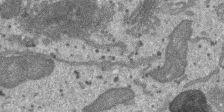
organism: Human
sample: Lung epithelial cells infected with SARS-CoV-2